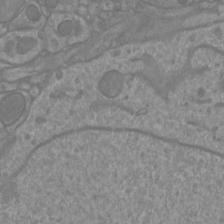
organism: Mouse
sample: Cortical neurons